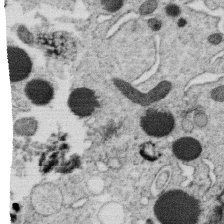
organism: C. elegans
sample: C. elegans oocyte; sperm cells